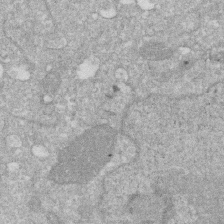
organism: Human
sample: HIV infected U937 cells